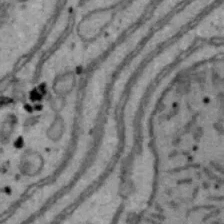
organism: Mouse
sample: Liver